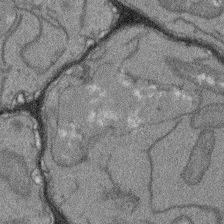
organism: Arabidopsis thaliana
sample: Root tip